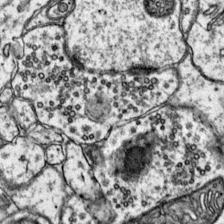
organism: Mouse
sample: Primary visual cortex